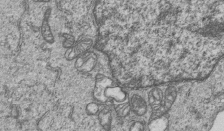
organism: Human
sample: MDA-MB-231 cells